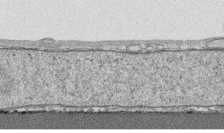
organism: Human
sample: CRL-1474